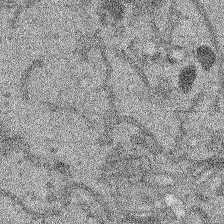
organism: Human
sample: HeLa cells